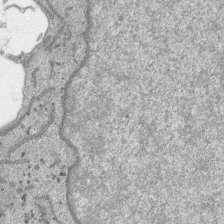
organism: Human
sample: Lung epithelial cells infected with SARS-CoV-2